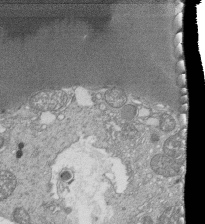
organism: Tetrahymena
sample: Cilia in tetrahymena